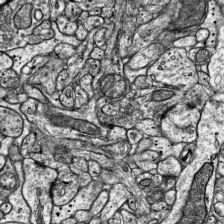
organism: Mouse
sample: Visual Cortex